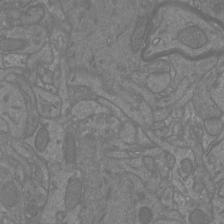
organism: Mouse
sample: Cortical neurons